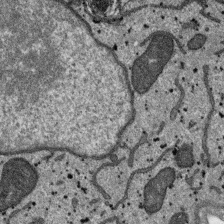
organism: Human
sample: Lung epithelial cells, uninfected (mock) control